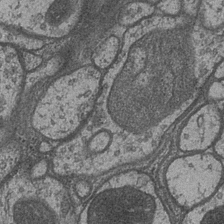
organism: Drosophila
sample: Optic medulla